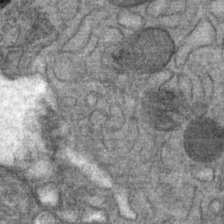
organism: Mouse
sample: Mouse Salivary gland